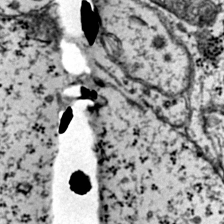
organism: Mouse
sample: Primary visual cortex